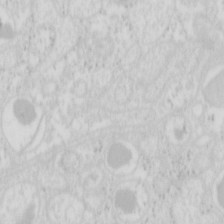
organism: Mouse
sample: Pancreas